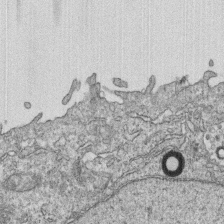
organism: Human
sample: HeLa cell HIV synapse